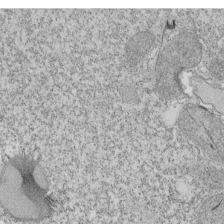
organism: Tetrahymena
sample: Cilia in tetrahymena